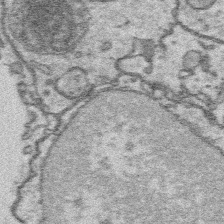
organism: Platynereis dumerilii